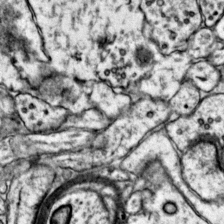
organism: Mouse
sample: Primary visual cortex